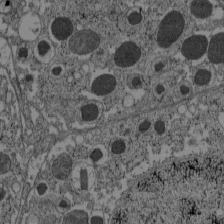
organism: C57BL Mouse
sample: Pancreatic islet